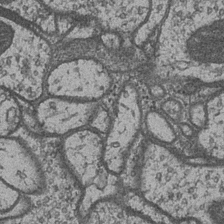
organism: Drosophila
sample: Optic medulla